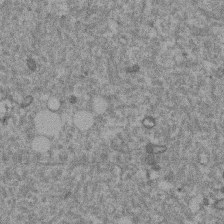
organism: Mouse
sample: Dividing mouse embryo 1 cell stage